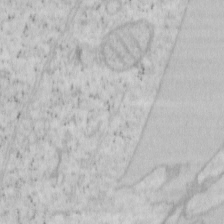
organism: Human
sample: HeLa cells